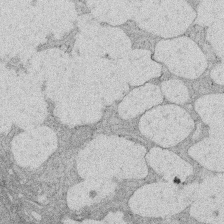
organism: Rat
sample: Salivary granule